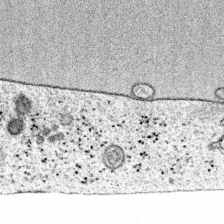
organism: Human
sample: HeLa cells